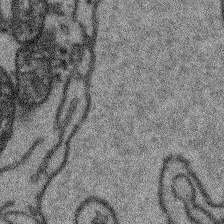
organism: Arabidopsis thaliana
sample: Root tip